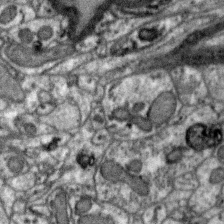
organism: Zebra finch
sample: Brain